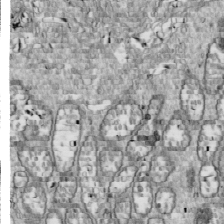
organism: Drosophila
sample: Cell division; meiosis; drosophila spermatocytes